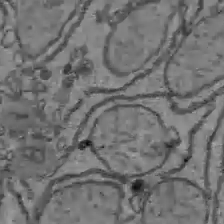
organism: C57BL Mouse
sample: Liver